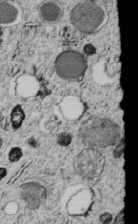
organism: C. elegans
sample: C. elegans embryo early stage